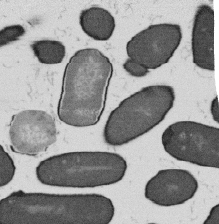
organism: B. subtilis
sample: Bacterial spore